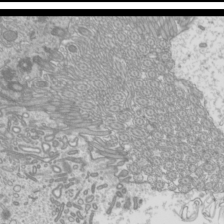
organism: Mouse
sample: Cilia; mouse epididymis